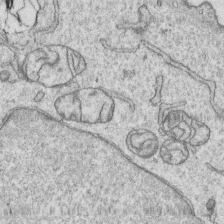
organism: Human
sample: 1205lu cells